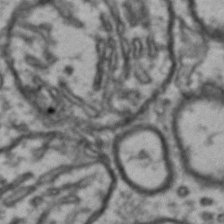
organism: Drosophila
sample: Brain